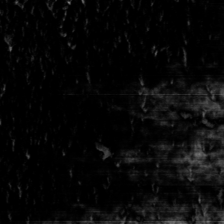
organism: Toxoplasma gondii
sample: Parasites in a vacuole inside a host cell